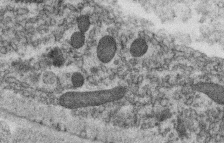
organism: C. elegans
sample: C. elegans oocyte; sperm cells